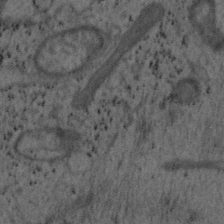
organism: Human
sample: HeLa cells